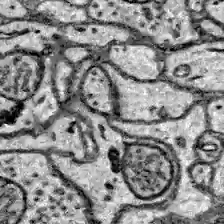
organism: Zebrafish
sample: Brain